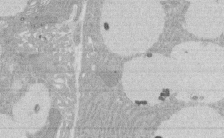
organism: Rat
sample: Salivary granule